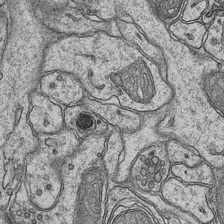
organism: Mouse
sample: CA1 Hippocampus